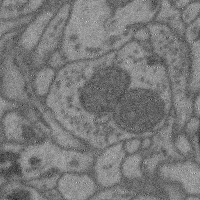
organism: Mouse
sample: Cerebral cortex